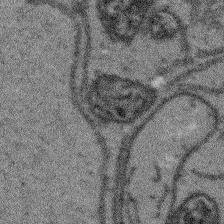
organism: Arabidopsis thaliana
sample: Root tip